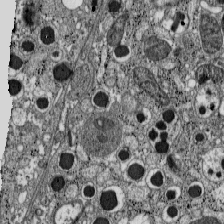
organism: C57BL Mouse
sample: Pancreatic islet